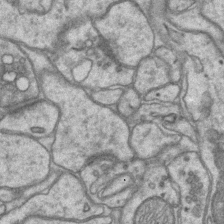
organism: Mouse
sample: CA1 Hippocampus